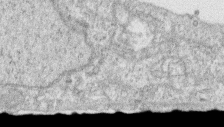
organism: Human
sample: HeLa cell HIV synapse